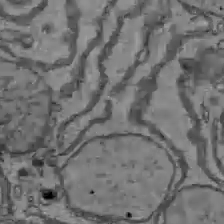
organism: C57BL Mouse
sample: Liver